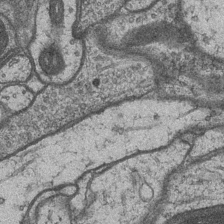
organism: Drosophila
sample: Optic medulla